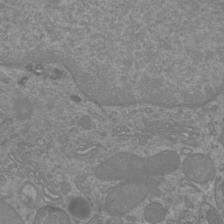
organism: Mouse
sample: Cortical neurons